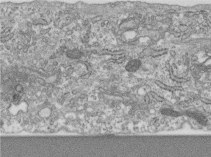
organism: Human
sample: Centriole in RPE cells